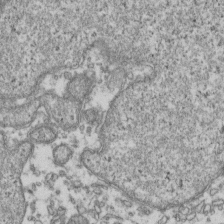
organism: Human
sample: Activated Jurkat CD4+ T cells